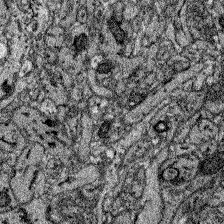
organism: Zebrafish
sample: Larval olfactory bulb